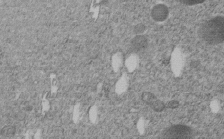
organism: C. elegans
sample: C. elegans embryo early stage